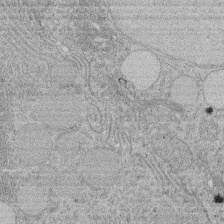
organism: Rat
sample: Salivary granule